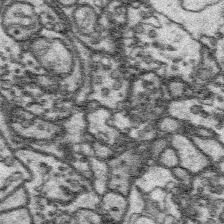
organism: Platynereis dumerilii